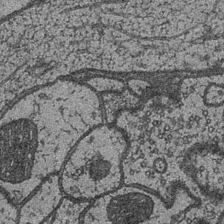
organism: Drosophila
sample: Optic medulla